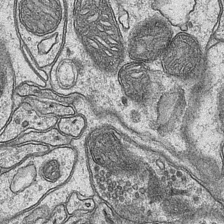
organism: Mouse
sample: CA1 Hippocampus